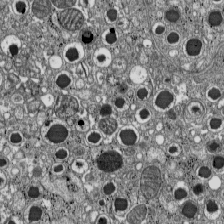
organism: C57BL Mouse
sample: Pancreatic islet